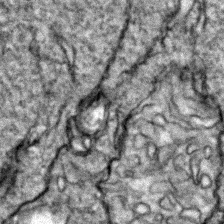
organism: Zebrafish